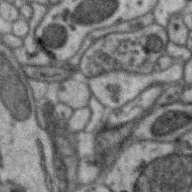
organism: Zebra finch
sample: Brain